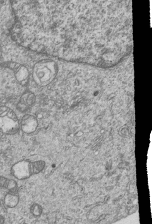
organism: Human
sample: MDA-MB-231 cells